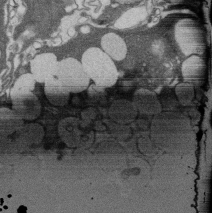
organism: Rat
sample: Salivary granule